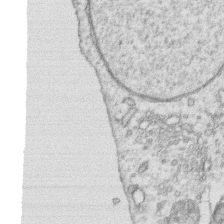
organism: Human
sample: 1205lu cells